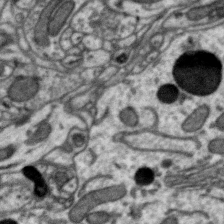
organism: Zebra finch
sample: Brain